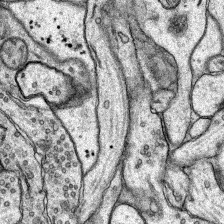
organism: Rat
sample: Hippocampus